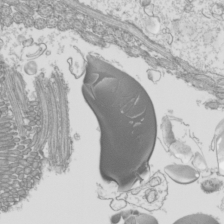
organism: Mouse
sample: Cilia; mouse epididymis